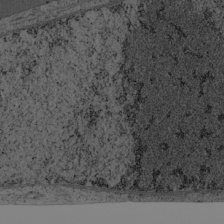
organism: African green monkey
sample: COS-7 cells